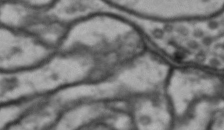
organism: Drosophila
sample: Brain